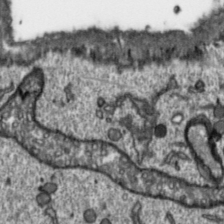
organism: Toxoplasma gondii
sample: Parasites in a vacuole inside a host cell